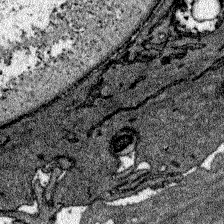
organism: Zebrafish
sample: Larval olfactory bulb